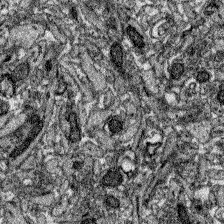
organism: Zebrafish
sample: Larval olfactory bulb